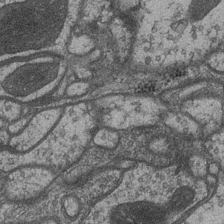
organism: Drosophila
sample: Optic medulla